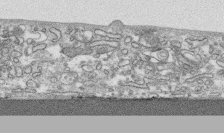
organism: Human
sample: CRL-1474